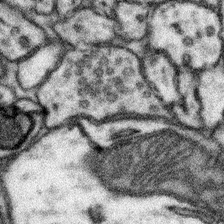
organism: Mouse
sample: Somatosensory cortex neuropil